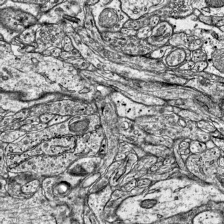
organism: Mouse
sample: Visual Cortex